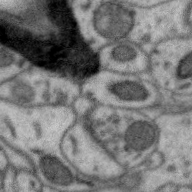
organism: Zebra finch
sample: Brain